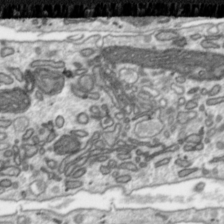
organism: Toxoplasma gondii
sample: Parasites in a vacuole inside a host cell